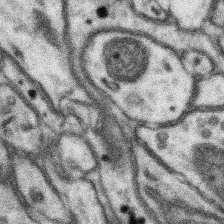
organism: Mouse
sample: Somatosensory cortex neuropil